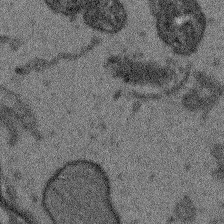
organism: Arabidopsis thaliana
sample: Root tip